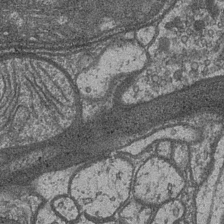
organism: Drosophila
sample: Optic medulla